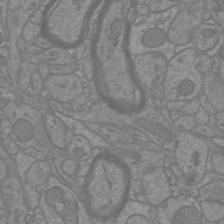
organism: Mouse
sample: Cortical neurons